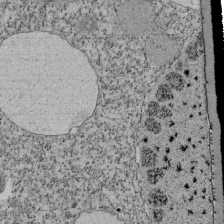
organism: Tetrahymena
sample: Cilia in tetrahymena